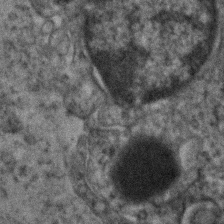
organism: Human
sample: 1205lu cells